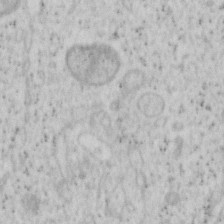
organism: Human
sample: HeLa cells